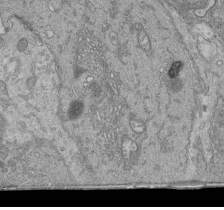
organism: Human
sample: Retinal organoid Rod and Cone cells